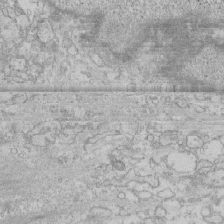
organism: Human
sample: CRL-1474